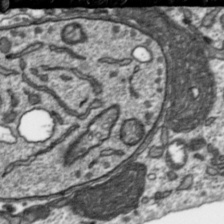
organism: Toxoplasma gondii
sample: Parasites in a vacuole inside a host cell